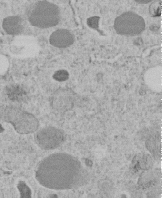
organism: C. elegans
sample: C. elegans embryo early stage